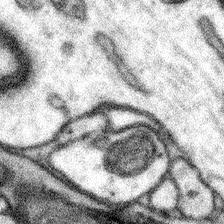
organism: Mouse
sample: Somatosensory cortex neuropil